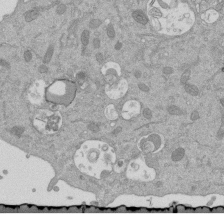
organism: Mouse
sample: ED-1 cell nuclei; centrioles